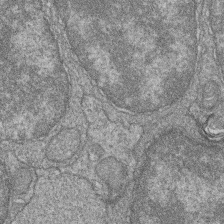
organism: Zebrafish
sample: Cilia; retinal pigment epithelium